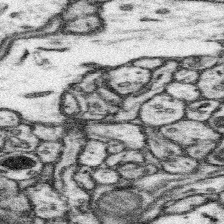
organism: Mouse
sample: Somatosensory cortex neuropil